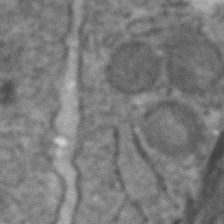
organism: Human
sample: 1205lu cells